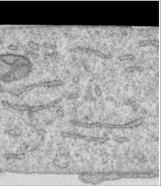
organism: Human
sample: Centriole in RPE cells